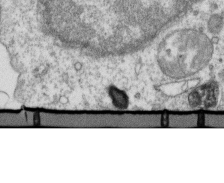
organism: Mouse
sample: Activated OT-1 CD8+ T cells